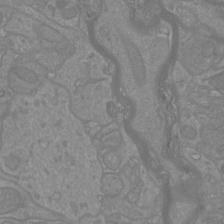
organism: Mouse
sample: Cortical neurons